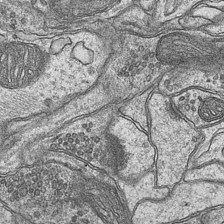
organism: Mouse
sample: CA1 Hippocampus